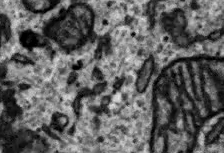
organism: Human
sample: HeLa cells